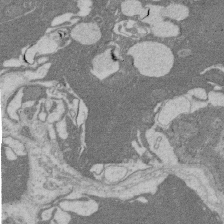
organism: Rat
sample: Salivary granule